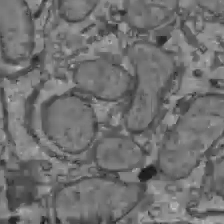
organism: C57BL Mouse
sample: Liver